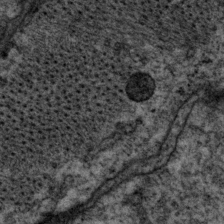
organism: P. pacificus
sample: Pharynx